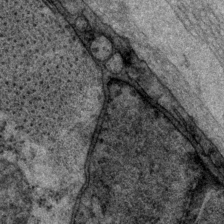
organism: P. pacificus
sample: Pharynx